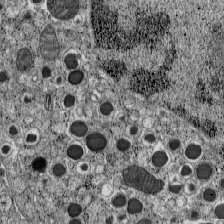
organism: C57BL Mouse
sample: Pancreatic islet